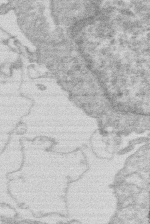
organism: Human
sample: Macrophage cells